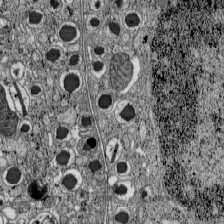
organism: C57BL Mouse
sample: Pancreatic islet